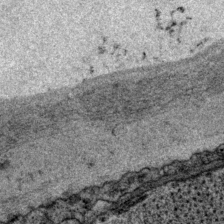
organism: P. pacificus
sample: Pharynx